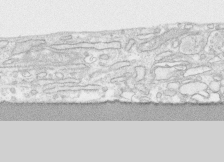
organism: Human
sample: CRL-1474